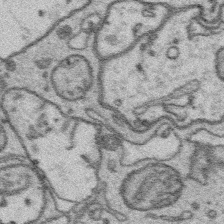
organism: Platynereis dumerilii